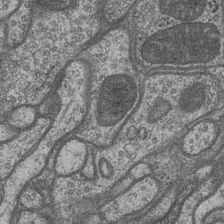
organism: Drosophila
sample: Optic medulla